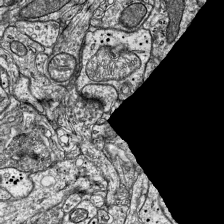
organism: Mouse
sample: Visual Cortex